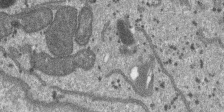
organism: Human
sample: Lung epithelial cells infected with SARS-CoV-2